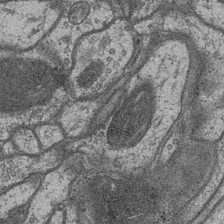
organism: Drosophila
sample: Optic medulla